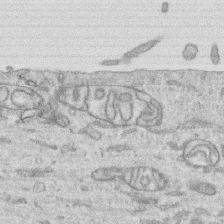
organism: Human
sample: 1205lu cells